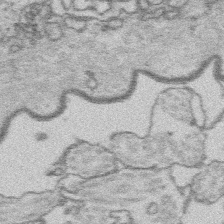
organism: Platynereis dumerilii